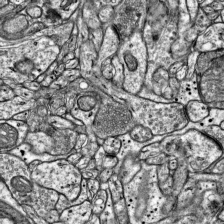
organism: Mouse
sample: Visual Cortex